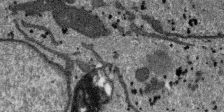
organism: Human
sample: Lung epithelial cells, uninfected (mock) control